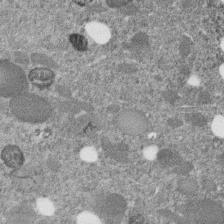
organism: C. elegans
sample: C. elegans embryo early stage